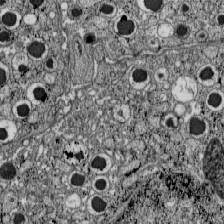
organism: C57BL Mouse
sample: Pancreatic islet